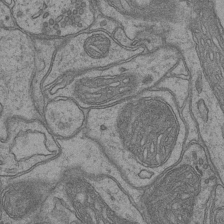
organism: Mouse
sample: CA1 Hippocampus